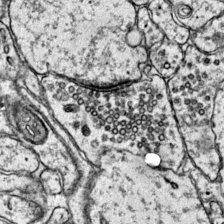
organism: Mouse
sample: Primary visual cortex